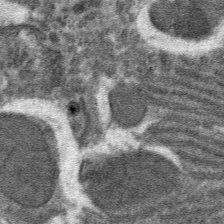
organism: Mouse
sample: Mouse hepatocytes